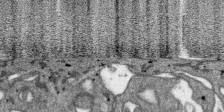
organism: Human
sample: Lung epithelial cells, uninfected (mock) control